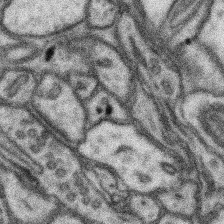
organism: Mouse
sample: Somatosensory cortex neuropil